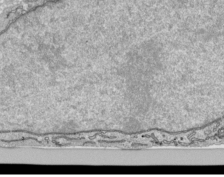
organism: Human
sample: Mitochondria in HCT116 cells